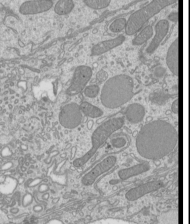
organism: Mouse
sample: Cilia; mouse epididymis